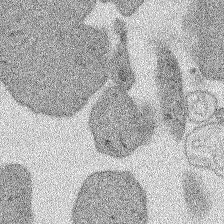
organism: Human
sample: HeLa cells